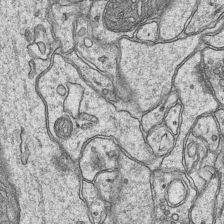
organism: Mouse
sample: CA1 Hippocampus